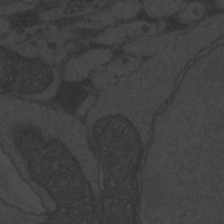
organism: Zebrafish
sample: Macrophage infected with Toxoplasma gondii